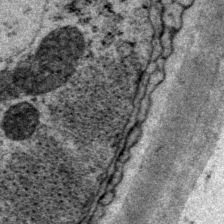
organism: P. pacificus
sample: Pharynx